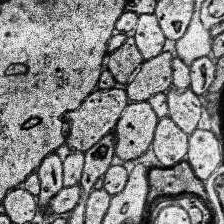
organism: Human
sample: Temporal Lobe